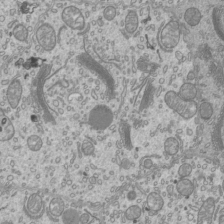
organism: Mouse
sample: Cilia; mouse epididymis